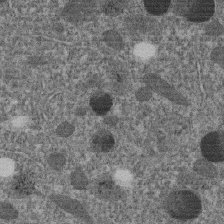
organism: C. elegans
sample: C. elegans embryo early stage